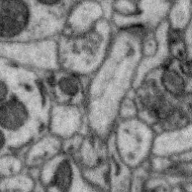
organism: Zebra finch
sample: Brain